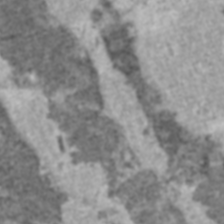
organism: C57BL Mouse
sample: Heart